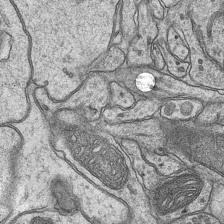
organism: Mouse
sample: CA1 Hippocampus